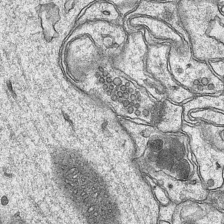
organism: Mouse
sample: CA1 Hippocampus